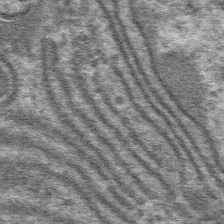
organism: Mouse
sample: Mouse hepatocytes